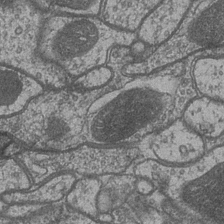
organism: Drosophila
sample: Optic medulla